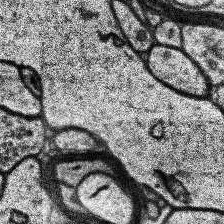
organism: Human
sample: Temporal Lobe